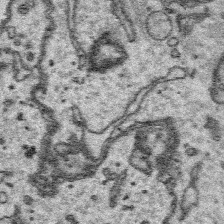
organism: Platynereis dumerilii